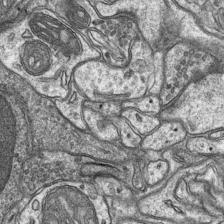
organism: Mouse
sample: CA1 Hippocampus